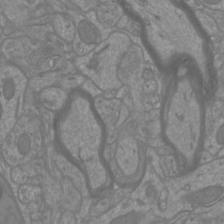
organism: Mouse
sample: Cortical neurons